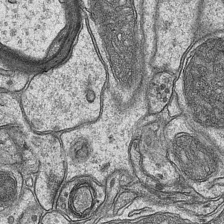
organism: Mouse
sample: CA1 Hippocampus